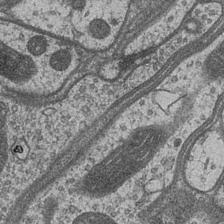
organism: Drosophila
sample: Optic medulla